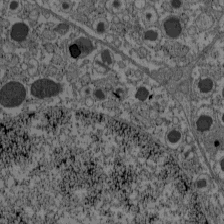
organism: C57BL Mouse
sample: Pancreatic islet